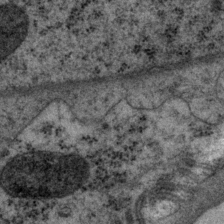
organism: P. pacificus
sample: Pharynx